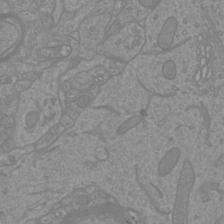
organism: Mouse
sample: Cortical neurons